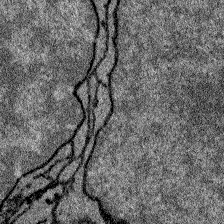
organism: Zebrafish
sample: Larval olfactory bulb